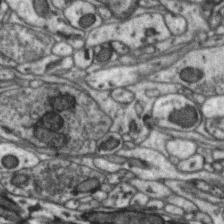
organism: Zebra finch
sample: Brain